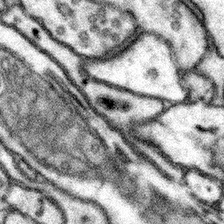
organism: Mouse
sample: Somatosensory cortex neuropil